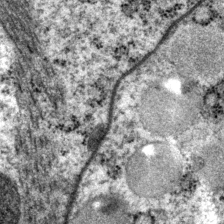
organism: P. pacificus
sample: Pharynx